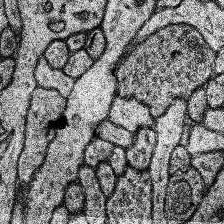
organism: Human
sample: Temporal Lobe